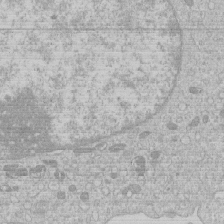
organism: Human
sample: Macrophage cells